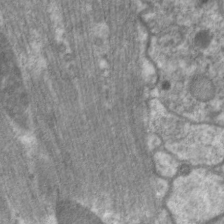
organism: C. elegans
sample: Pharynx